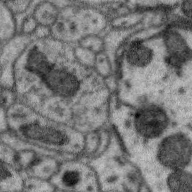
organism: Zebra finch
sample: Brain